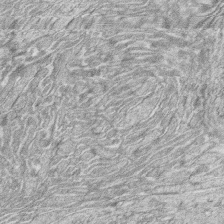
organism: Zebrafish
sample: synaptic ribbons in rod cells and cone cells